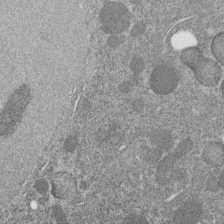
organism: C. elegans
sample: C. elegans embryo early stage